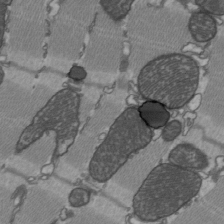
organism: C57BL Mouse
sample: Heart